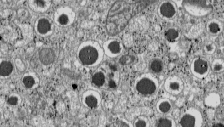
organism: C57BL Mouse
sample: Pancreatic islet